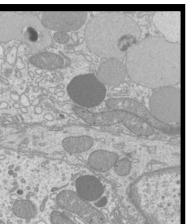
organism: Mouse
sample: Cilia; mouse epididymis